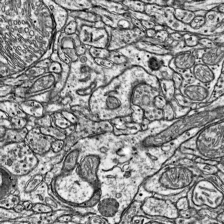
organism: Mouse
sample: Visual Cortex